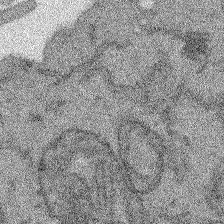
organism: Human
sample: HeLa cells